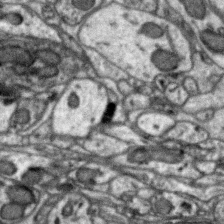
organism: Zebra finch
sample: Brain